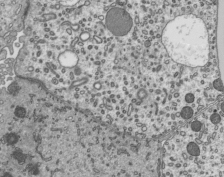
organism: Mouse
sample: Mouse epididymis efferent ductule cilia